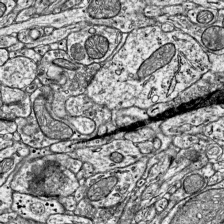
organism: Mouse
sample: Visual Cortex